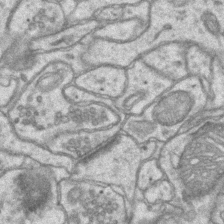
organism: Mouse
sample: CA1 Hippocampus